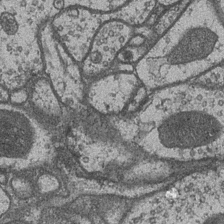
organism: Drosophila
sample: Optic medulla